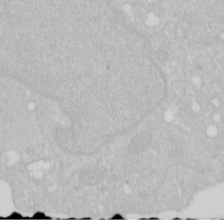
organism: Human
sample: HIV infected U937 cells